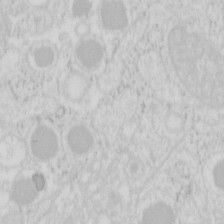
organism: Mouse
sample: Pancreas